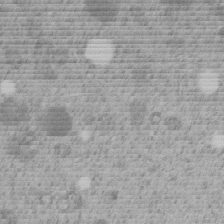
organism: C. elegans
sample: C. elegans embryo early stage